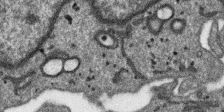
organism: Human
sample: Lung epithelial cells infected with SARS-CoV-2